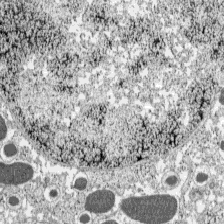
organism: C57BL Mouse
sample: Pancreatic islet